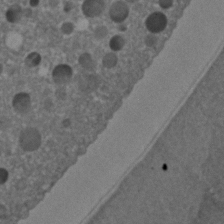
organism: C. elegans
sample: C. elegans embryo